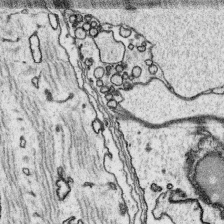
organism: Platynereis dumerilii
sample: Parapodia